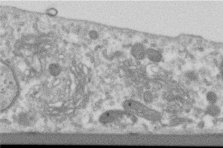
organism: Human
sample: Centriole in RPE cells